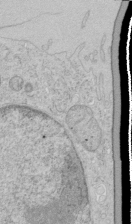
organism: Human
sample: Mitochondria in HCT116 cells